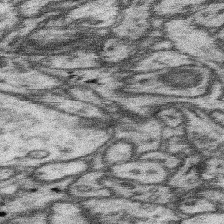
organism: Mouse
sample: Somatosensory cortex neuropil